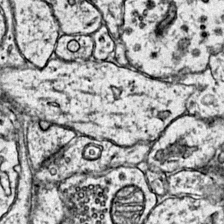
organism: Mouse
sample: Primary visual cortex